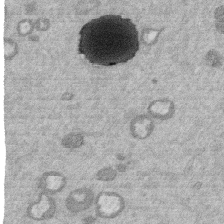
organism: Mouse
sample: Dividing mouse embryo 1 cell stage